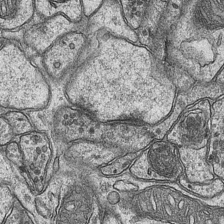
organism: Mouse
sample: CA1 Hippocampus